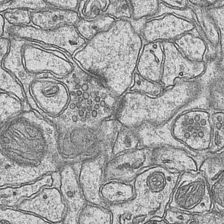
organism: Mouse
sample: CA1 Hippocampus